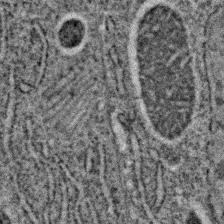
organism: C. elegans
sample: C. elegans embryo